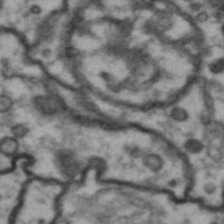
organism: Drosophila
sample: Brain